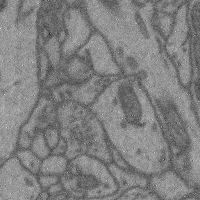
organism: Mouse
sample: Cerebral cortex